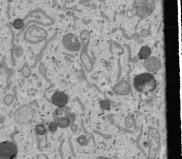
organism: Human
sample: Mitochondria in U2OS cells